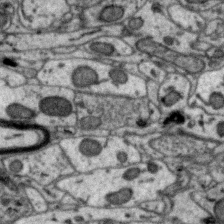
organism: Zebra finch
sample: Brain